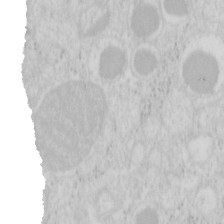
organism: Mouse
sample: Pancreas